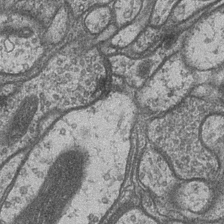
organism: Drosophila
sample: Optic medulla